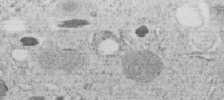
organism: C. elegans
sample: C. elegans embryo early stage